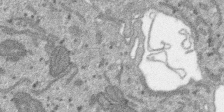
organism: Human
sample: Lung epithelial cells infected with SARS-CoV-2